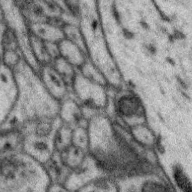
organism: Zebra finch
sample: Brain